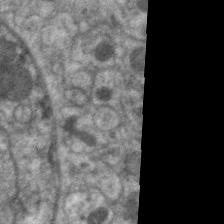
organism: C. elegans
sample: Pharynx